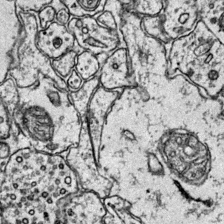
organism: Mouse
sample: Primary visual cortex